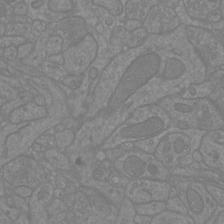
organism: Mouse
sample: Cortical neurons